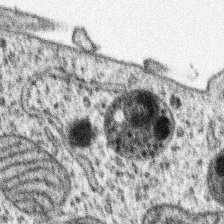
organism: Human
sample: HeLa cells